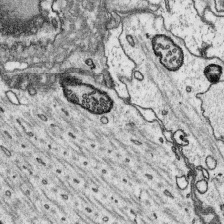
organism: Platynereis dumerilii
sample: Parapodia